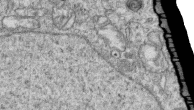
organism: Human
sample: HeLa cell HIV synapse